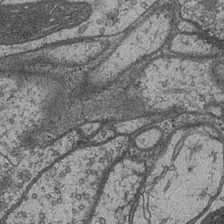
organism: Drosophila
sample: Optic medulla